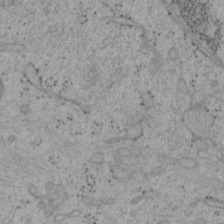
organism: Human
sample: HeLa cells